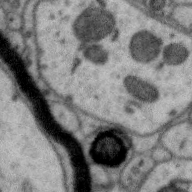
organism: Zebra finch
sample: Brain